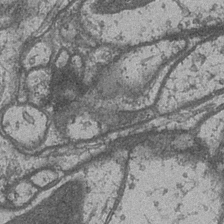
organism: Drosophila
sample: Optic medulla